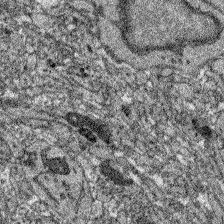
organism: Zebrafish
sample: Larval olfactory bulb